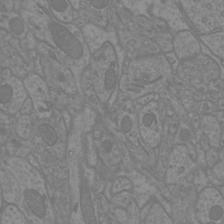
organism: Mouse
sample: Cortical neurons